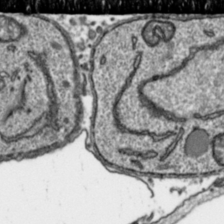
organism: Toxoplasma gondii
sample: Parasites in a vacuole inside a host cell